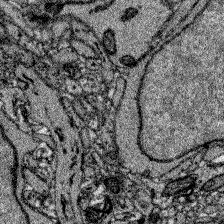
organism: Zebrafish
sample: Larval olfactory bulb